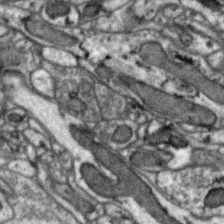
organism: Zebra finch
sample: Brain